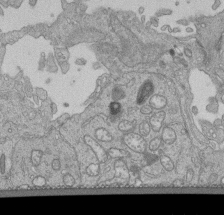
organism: Human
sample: Retinal organoid Rod and Cone cells